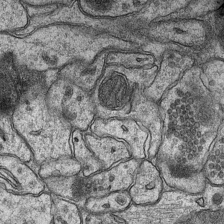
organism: Mouse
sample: CA1 Hippocampus